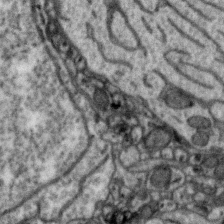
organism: Zebra finch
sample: Brain